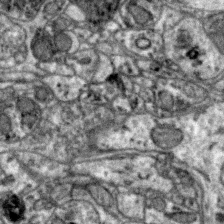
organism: Zebra finch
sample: Brain